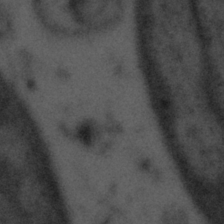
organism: Tuwongella immobilis